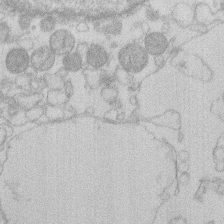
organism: Human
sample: Macrophage cells